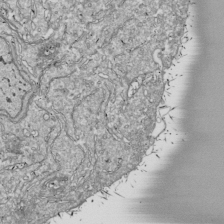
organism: Drosophila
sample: Cell division; meiosis; drosophila spermatocytes